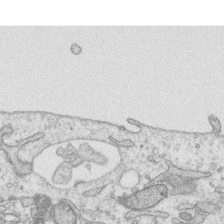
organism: Human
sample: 1205lu cells